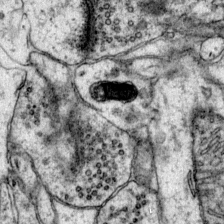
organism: Mouse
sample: Primary visual cortex